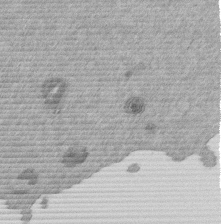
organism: Mouse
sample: Dividing mouse embryo 1 cell stage